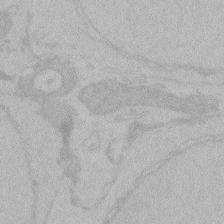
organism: Zebrafish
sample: Macrophage infected with Toxoplasma gondii